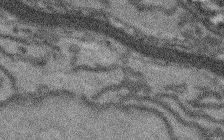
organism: Arabidopsis thaliana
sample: Root tip